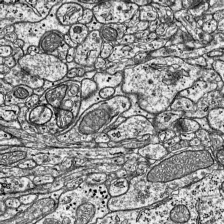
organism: Mouse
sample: Visual Cortex